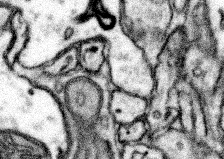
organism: Mouse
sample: Somatosensory cortex neuropil